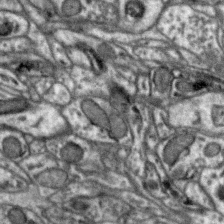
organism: Zebra finch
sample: Brain